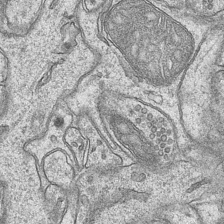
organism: Mouse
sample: CA1 Hippocampus